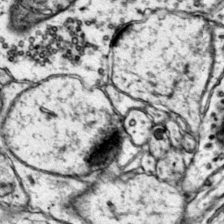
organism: Mouse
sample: Primary visual cortex